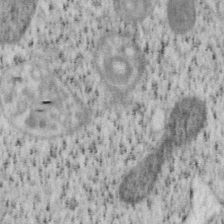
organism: Mouse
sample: OT-I killer T cells with ID8 ovarian cancer cells